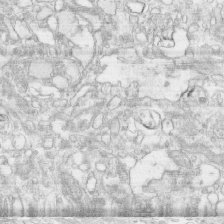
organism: Human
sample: CRL-1474